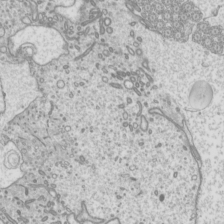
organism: Mouse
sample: Cilia; mouse epididymis